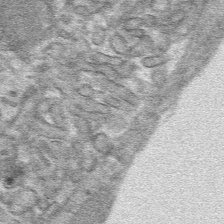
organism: Mouse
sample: Mouse hepatocytes